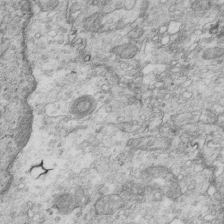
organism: Mouse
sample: Multiciliated cells